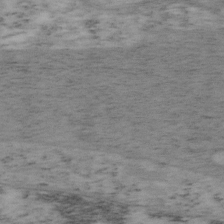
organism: Mouse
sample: OT-I killer T cells with ID8 ovarian cancer cells